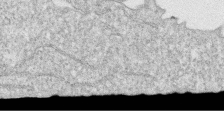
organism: Human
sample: HeLa cell HIV synapse